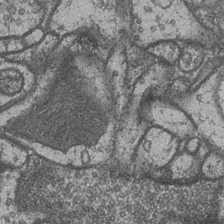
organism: Drosophila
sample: Optic medulla